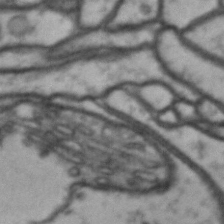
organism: Drosophila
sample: Brain